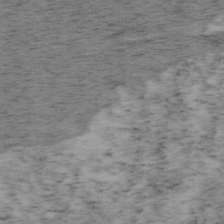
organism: Mouse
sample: OT-I killer T cells with ID8 ovarian cancer cells